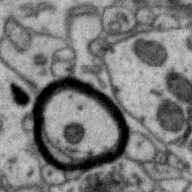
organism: Zebra finch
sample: Brain